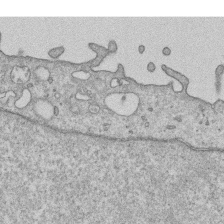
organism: Human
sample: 1205lu cells